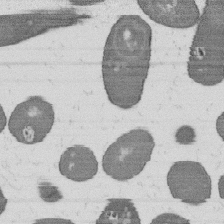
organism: B. subtilis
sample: Bacterial spore